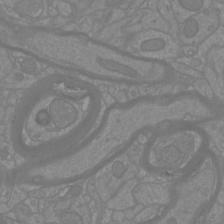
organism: Mouse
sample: Cortical neurons